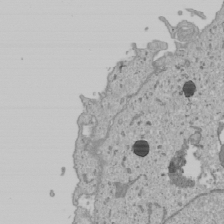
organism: Human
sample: Mitochondria in U2OS cells